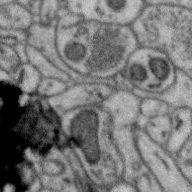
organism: Zebra finch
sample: Brain